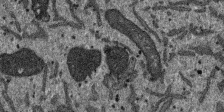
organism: Human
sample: Lung epithelial cells infected with SARS-CoV-2